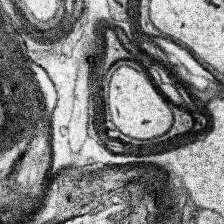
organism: Human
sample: Temporal Lobe